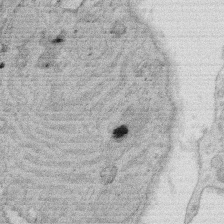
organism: Rat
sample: Salivary granule